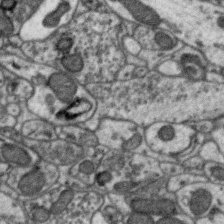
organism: Zebra finch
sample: Brain